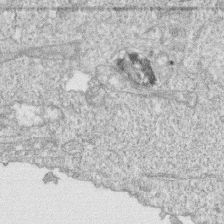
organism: Human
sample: HeLa cell HIV synapse